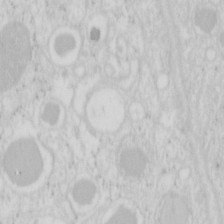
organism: Mouse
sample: Pancreas